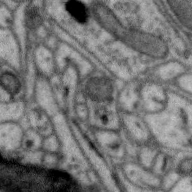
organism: Zebra finch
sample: Brain